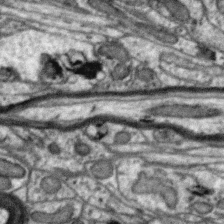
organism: Zebra finch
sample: Brain